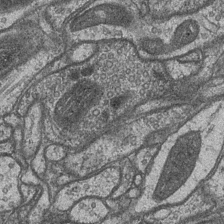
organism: Drosophila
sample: Optic medulla